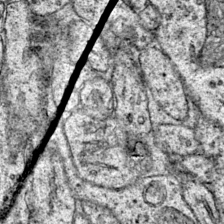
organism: Mouse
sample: Primary visual cortex